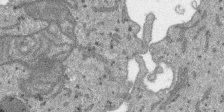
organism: Human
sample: Lung epithelial cells infected with SARS-CoV-2